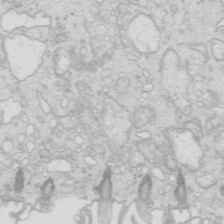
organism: Mouse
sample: Multiciliated cells